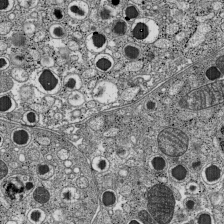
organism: C57BL Mouse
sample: Pancreatic islet